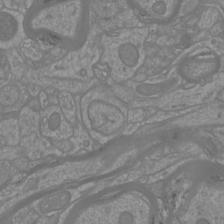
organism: Mouse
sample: Cortical neurons